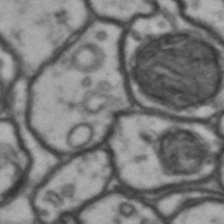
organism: Drosophila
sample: Brain